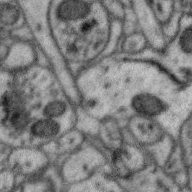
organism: Zebra finch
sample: Brain